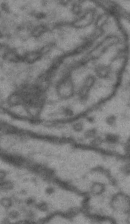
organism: Drosophila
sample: Brain